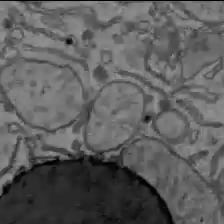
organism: C57BL Mouse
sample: Liver